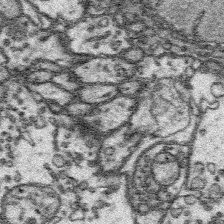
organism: Platynereis dumerilii